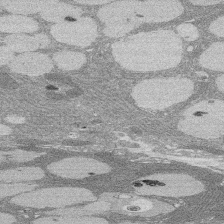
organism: Rat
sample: Salivary granule